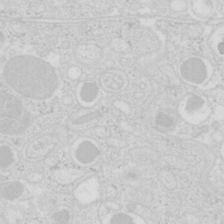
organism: Mouse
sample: Pancreas